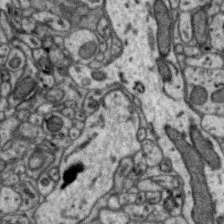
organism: Zebra finch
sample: Brain